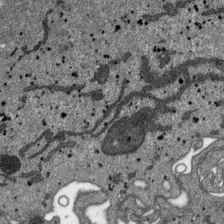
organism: Human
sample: Lung epithelial cells, uninfected (mock) control